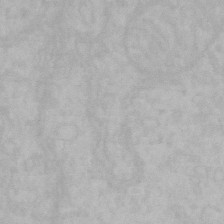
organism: Mouse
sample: Choroid plexus